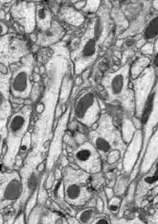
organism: Drosophila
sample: Optic lobe